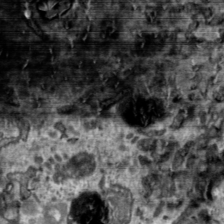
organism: Toxoplasma gondii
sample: Parasites in a vacuole inside a host cell